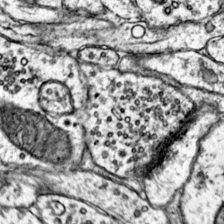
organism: Mouse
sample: Primary visual cortex